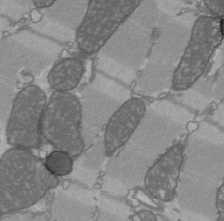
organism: C57BL Mouse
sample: Heart